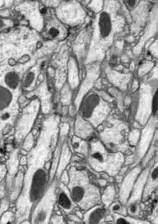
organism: Drosophila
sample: Optic lobe